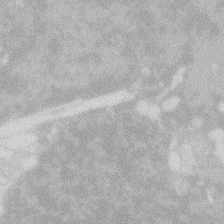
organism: Zebrafish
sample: Macrophage